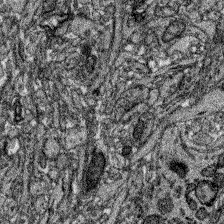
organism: Zebrafish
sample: Larval olfactory bulb